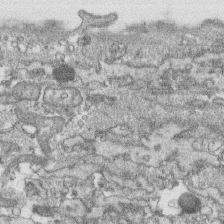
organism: Human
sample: CRL-1474